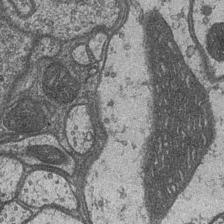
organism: Drosophila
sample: Optic medulla